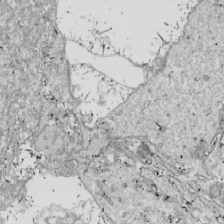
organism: Drosophila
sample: Cell division; meiosis; drosophila spermatocytes